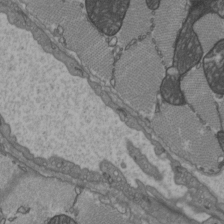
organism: C57BL Mouse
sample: Heart